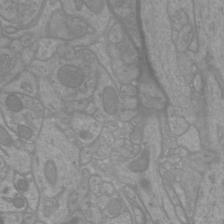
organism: Mouse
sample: Cortical neurons